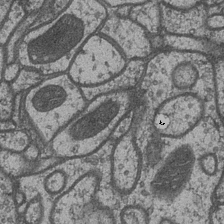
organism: Drosophila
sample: Optic medulla